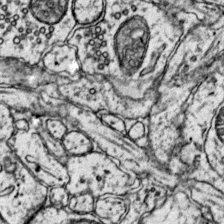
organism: Mouse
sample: Primary visual cortex